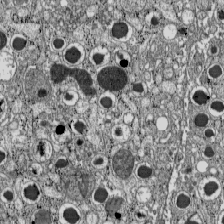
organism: C57BL Mouse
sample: Pancreatic islet